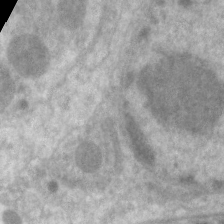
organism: C. elegans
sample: Pharynx